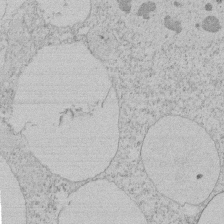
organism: Tetrahymena